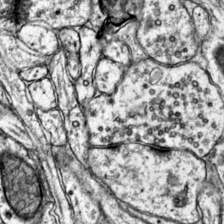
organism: Mouse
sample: Primary visual cortex